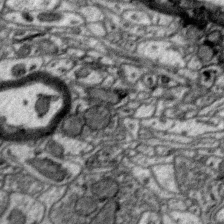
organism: Zebra finch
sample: Brain